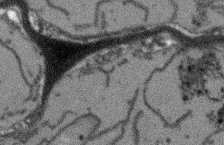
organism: Arabidopsis thaliana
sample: Root tip